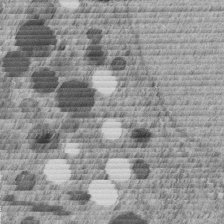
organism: C. elegans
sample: C. elegans embryo early stage